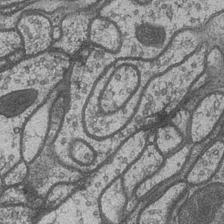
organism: Drosophila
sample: Optic medulla